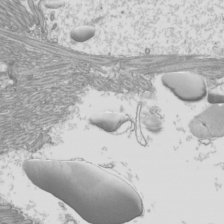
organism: Mouse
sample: Cilia; mouse epididymis